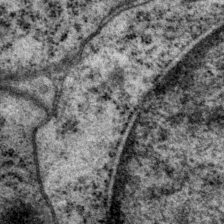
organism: P. pacificus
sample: Pharynx